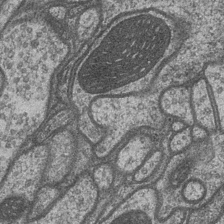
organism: Drosophila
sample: Optic medulla